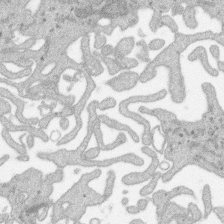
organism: Human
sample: Lung epithelial cells infected with SARS-CoV-2